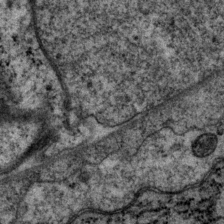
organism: P. pacificus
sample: Pharynx